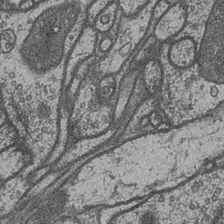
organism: Drosophila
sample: Optic medulla